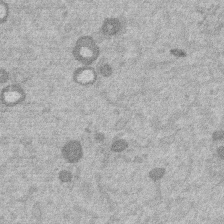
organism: Mouse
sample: Dividing mouse embryo 1 cell stage